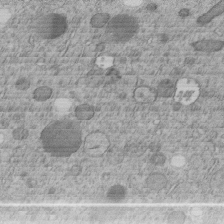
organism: C. elegans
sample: C. elegans embryo early stage